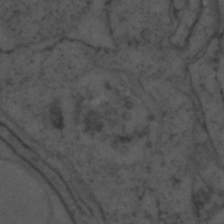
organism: Zebrafish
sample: Zebrafish embryo